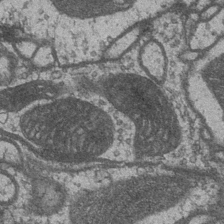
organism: Drosophila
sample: Optic medulla